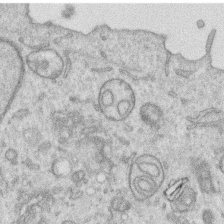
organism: Human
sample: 1205lu cells